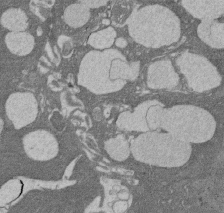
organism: Rat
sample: Salivary granule